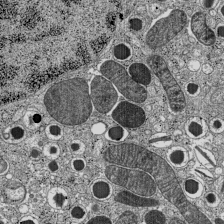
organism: C57BL Mouse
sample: Pancreatic islet